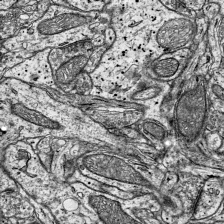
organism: Mouse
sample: Visual Cortex